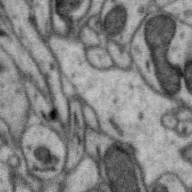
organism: Zebra finch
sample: Brain